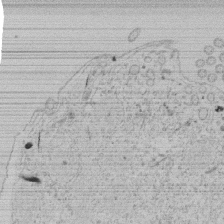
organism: Tetrahymena